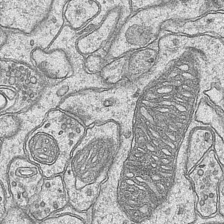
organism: Mouse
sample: CA1 Hippocampus